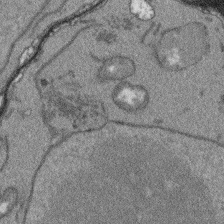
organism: Arabidopsis thaliana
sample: Root tip